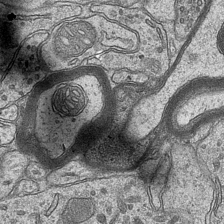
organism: Mouse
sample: CA1 Hippocampus